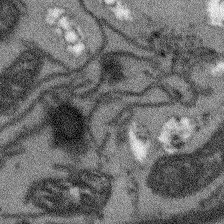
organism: Arabidopsis thaliana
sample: Root tip